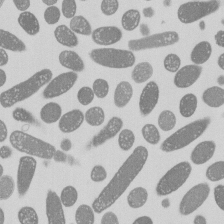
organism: E. coli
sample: Bacterial nucleoid